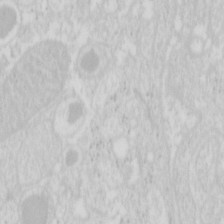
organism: Mouse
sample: Pancreas